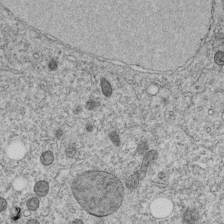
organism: C. elegans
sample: C. elegans embryo early stage